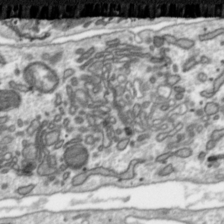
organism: Toxoplasma gondii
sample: Parasites in a vacuole inside a host cell